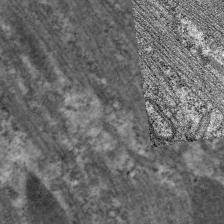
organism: C. elegans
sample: Pharynx